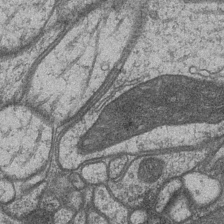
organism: Drosophila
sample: Optic medulla